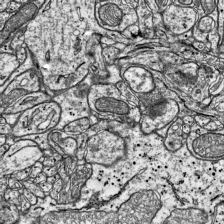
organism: Mouse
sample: Visual Cortex